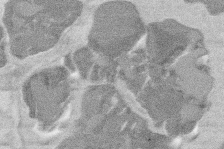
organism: Mouse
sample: T cell stromal cell synapse